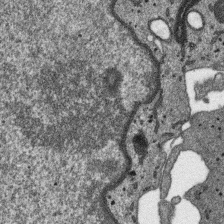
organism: Human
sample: Lung epithelial cells infected with SARS-CoV-2